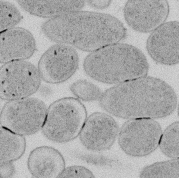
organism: E. coli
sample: Bacterial nucleoid